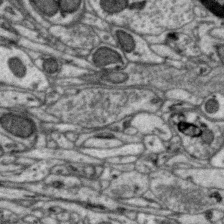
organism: Zebra finch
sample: Brain